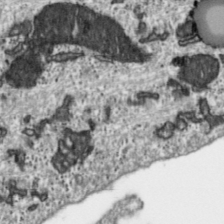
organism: Toxoplasma gondii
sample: Parasites in a vacuole inside a host cell